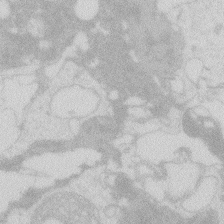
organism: Zebrafish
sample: Macrophage